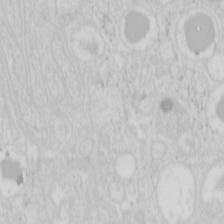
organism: Mouse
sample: Pancreas